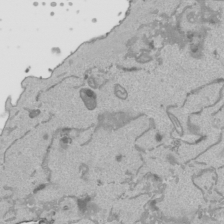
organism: Human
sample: Mitochondria in HCT116 cells